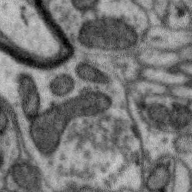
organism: Zebra finch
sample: Brain